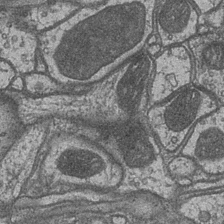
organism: Drosophila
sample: Optic medulla